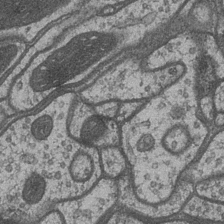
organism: Drosophila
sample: Optic medulla